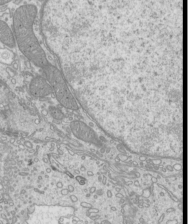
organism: Mouse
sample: Cilia; mouse epididymis